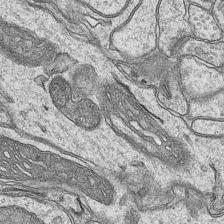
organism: Mouse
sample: CA1 Hippocampus